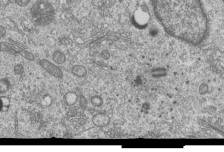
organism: Human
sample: MDA-MB-231 cells